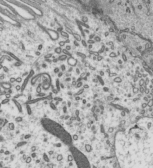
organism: Mouse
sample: Mouse epididymis efferent ductule cilia